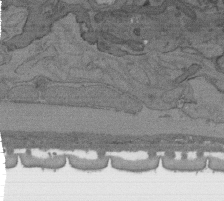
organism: C. elegans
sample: AFD neurons C. elegans